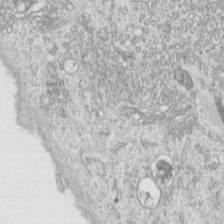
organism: Human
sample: Centriole in RPE cells